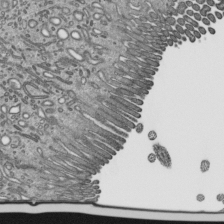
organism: Mouse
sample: Mouse epididymis efferent ductule cilia